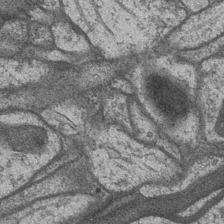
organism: Drosophila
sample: Optic medulla